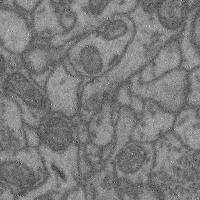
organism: Mouse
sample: Cerebral cortex